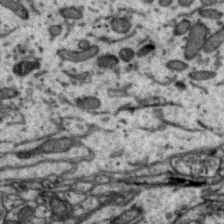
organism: Zebra finch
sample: Brain